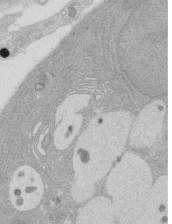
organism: Rat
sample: Salivary granule